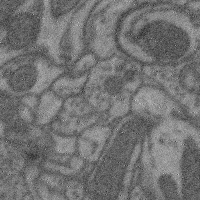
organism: Mouse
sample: Cerebral cortex